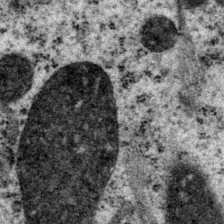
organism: P. pacificus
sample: Pharynx